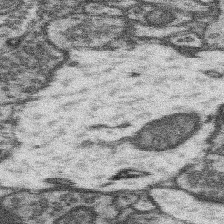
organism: Mouse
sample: Somatosensory cortex neuropil